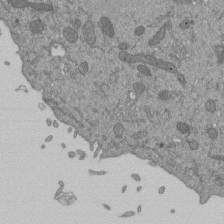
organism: Mouse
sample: ED-1 cell nuclei; centrioles